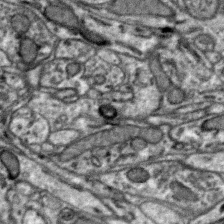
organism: Zebra finch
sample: Brain